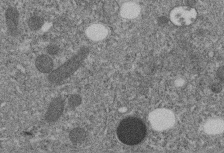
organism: C. elegans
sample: C. elegans embryo early stage